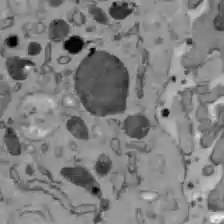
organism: C57BL Mouse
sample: Liver